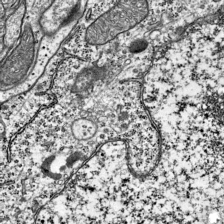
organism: Mouse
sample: Visual Cortex